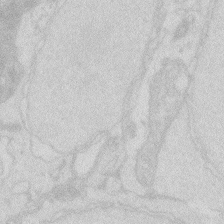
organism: Zebrafish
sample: Macrophage